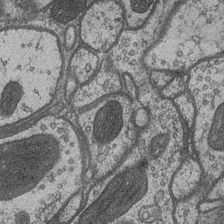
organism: Drosophila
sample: Optic medulla